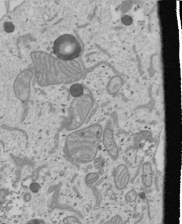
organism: Human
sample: Mitochondria in U2OS cells